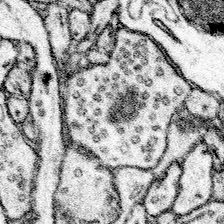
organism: Mouse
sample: Somatosensory cortex neuropil